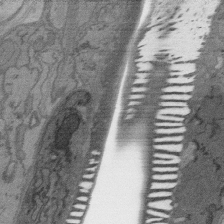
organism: C. elegans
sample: AFD neurons C. elegans